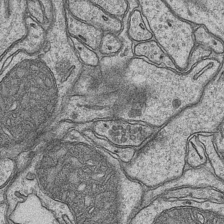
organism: Mouse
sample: CA1 Hippocampus